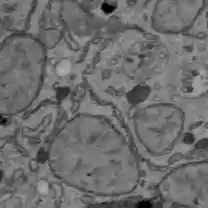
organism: C57BL Mouse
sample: Liver